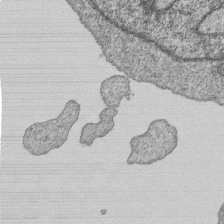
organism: Human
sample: MDA-MB-231 cells